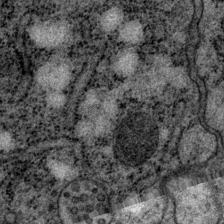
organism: P. pacificus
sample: Pharynx